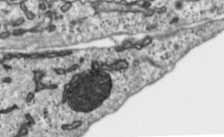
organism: Toxoplasma gondii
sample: Parasites in a vacuole inside a host cell